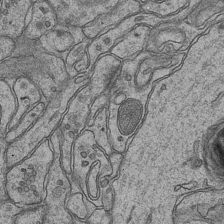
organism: Mouse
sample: CA1 Hippocampus